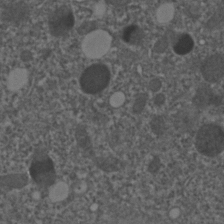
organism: C. elegans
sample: C. elegans embryo